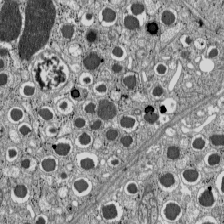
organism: C57BL Mouse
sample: Pancreatic islet